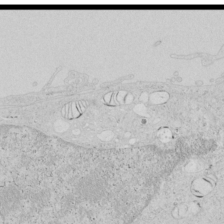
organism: Human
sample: Mitochondria in HCT116 cells